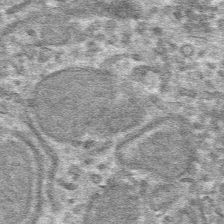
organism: Mouse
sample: Mouse hepatocytes